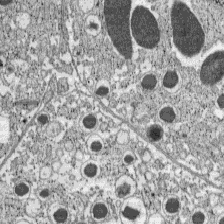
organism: C57BL Mouse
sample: Pancreatic islet